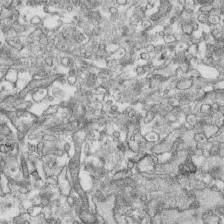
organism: Human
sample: CRL-1474